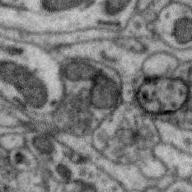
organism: Zebra finch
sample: Brain